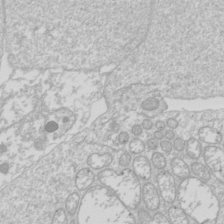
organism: Drosophila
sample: Cell division; meiosis; drosophila spermatocytes